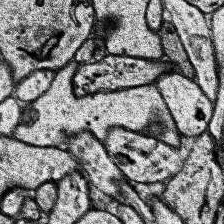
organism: Human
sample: Temporal Lobe